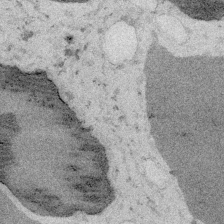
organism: Embia sp.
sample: Silk gland